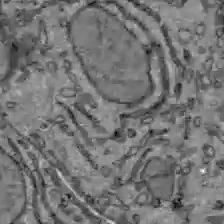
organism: C57BL Mouse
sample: Liver